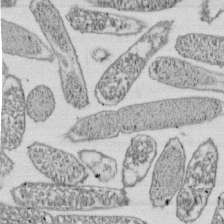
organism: E. coli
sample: Bacterial nucleoid